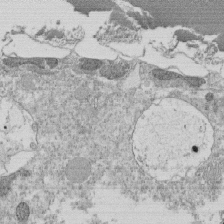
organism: Tetrahymena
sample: Cilia in tetrahymena